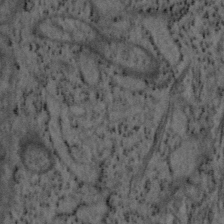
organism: Human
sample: HeLa cells